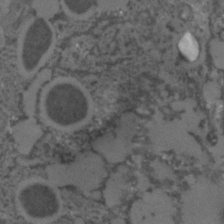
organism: C. elegans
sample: C. elegans embryo